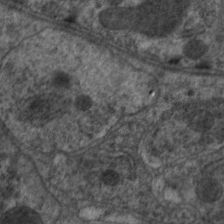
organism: C. elegans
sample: Pharynx